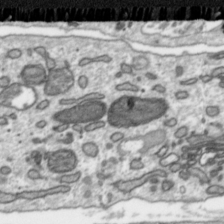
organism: Toxoplasma gondii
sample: Parasites in a vacuole inside a host cell